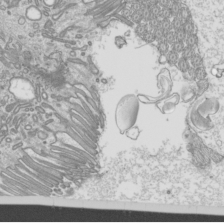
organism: Mouse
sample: Cilia; mouse epididymis